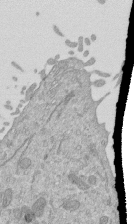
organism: Mouse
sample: ED-1 cell nuclei; centrioles